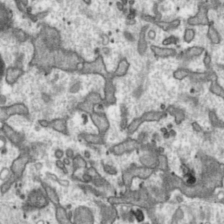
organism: Toxoplasma gondii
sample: Parasites in a vacuole inside a host cell